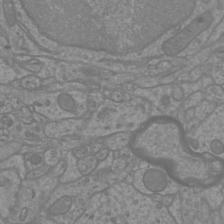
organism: Mouse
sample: Cortical neurons